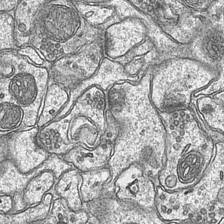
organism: Mouse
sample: CA1 Hippocampus